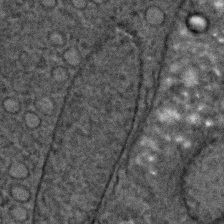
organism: C. elegans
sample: C. elegans embryo